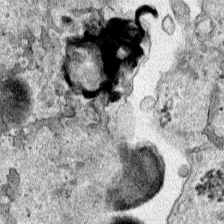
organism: Human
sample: Mitochondria in HCT116 cells